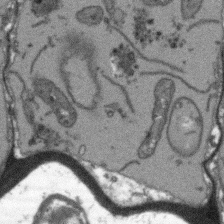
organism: Arabidopsis thaliana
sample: Root tip